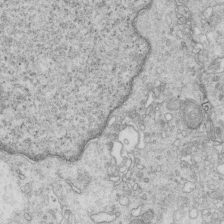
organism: Mouse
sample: Multiciliated cells